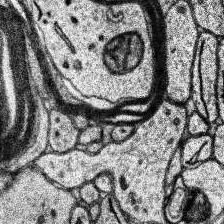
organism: Human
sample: Temporal Lobe